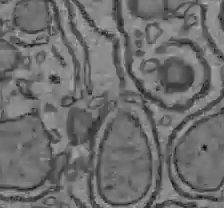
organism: C57BL Mouse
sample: Liver